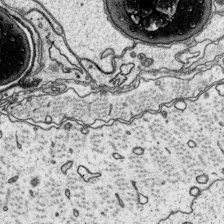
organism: Platynereis dumerilii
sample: Parapodia